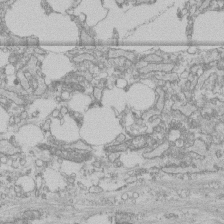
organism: Human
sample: CRL-1474